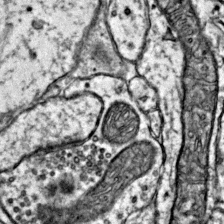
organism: Mouse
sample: Primary visual cortex